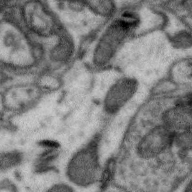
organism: Zebra finch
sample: Brain